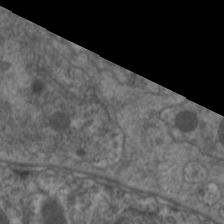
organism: C. elegans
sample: Pharynx